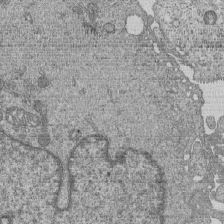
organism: Human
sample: MDA-MB-231 cells